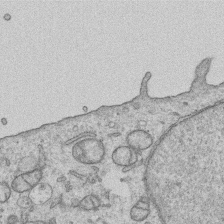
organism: Human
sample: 1205lu cells